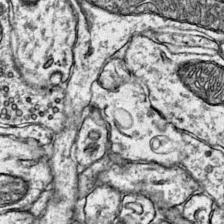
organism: Mouse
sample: Primary visual cortex